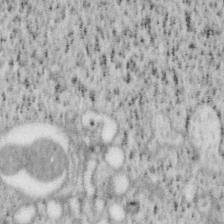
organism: Mouse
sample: OT-I killer T cells with ID8 ovarian cancer cells